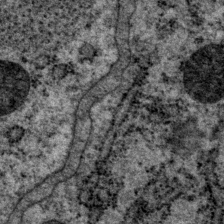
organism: P. pacificus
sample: Pharynx